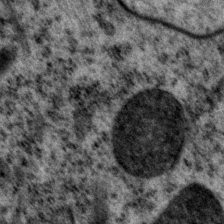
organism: P. pacificus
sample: Pharynx